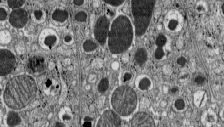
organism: C57BL Mouse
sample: Pancreatic islet